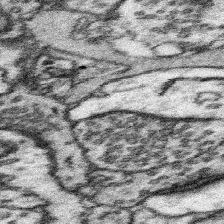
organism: Mouse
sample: Somatosensory cortex neuropil